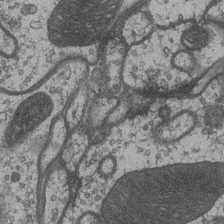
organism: Drosophila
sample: Optic medulla